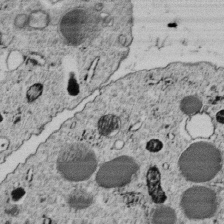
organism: C. elegans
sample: C. elegans embryo early stage